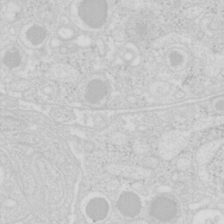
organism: Mouse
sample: Pancreas